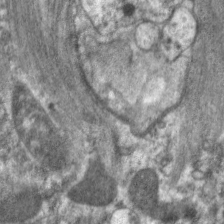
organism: C. elegans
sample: Pharynx